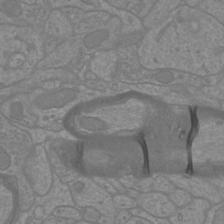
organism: Mouse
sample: Cortical neurons